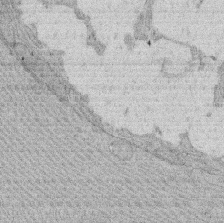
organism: Rat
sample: Salivary granule